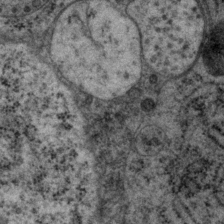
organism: P. pacificus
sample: Pharynx